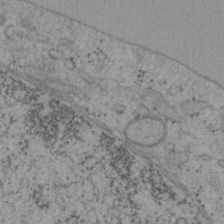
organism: Human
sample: HeLa cells